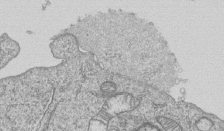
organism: Human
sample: MDA-MB-231 cells